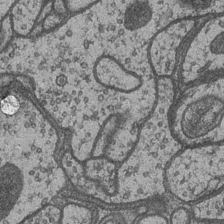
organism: Drosophila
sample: Optic medulla